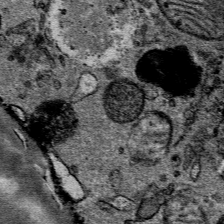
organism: Mouse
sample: Mouse Salivary gland